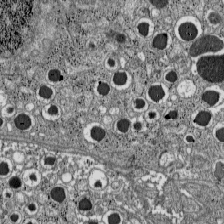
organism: C57BL Mouse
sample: Pancreatic islet